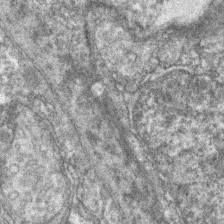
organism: Zebrafish